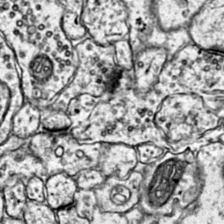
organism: Mouse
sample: Primary visual cortex